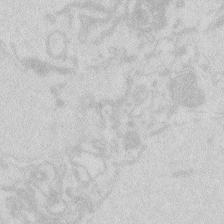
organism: Zebrafish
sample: Macrophage